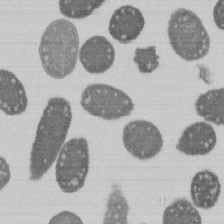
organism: E. coli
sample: Bacterial nucleoid